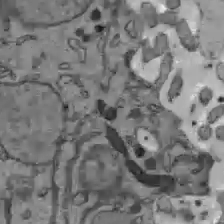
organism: C57BL Mouse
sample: Liver